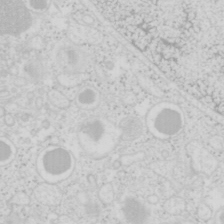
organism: Mouse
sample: Pancreas